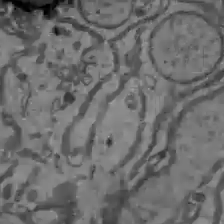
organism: C57BL Mouse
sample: Liver